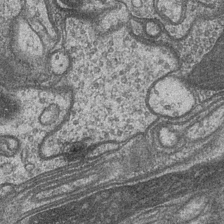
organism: Drosophila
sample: Optic medulla